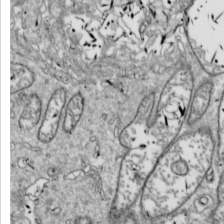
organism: Drosophila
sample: Cell division; meiosis; drosophila spermatocytes